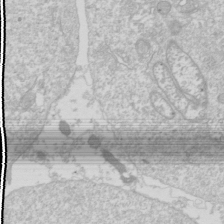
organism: Drosophila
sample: Cell division; meiosis; drosophila spermatocytes